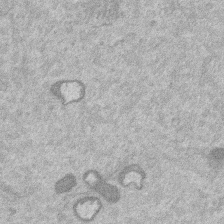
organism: Mouse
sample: Dividing mouse embryo 1 cell stage